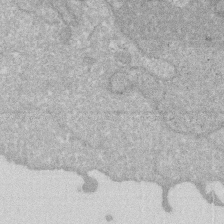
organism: Human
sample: HIV infected U937 cells